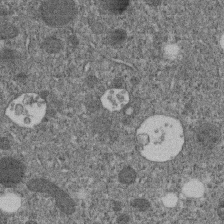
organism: C. elegans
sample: C. elegans embryo early stage